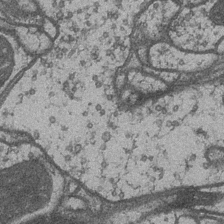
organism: Drosophila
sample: Optic medulla